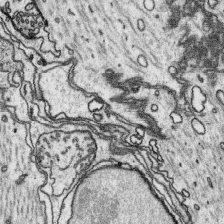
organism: Platynereis dumerilii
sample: Parapodia